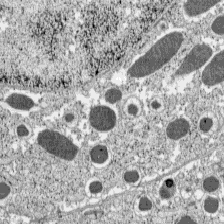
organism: C57BL Mouse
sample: Pancreatic islet